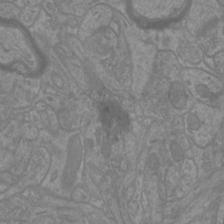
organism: Mouse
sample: Cortical neurons